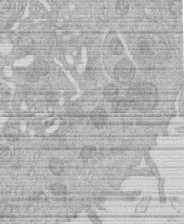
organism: Human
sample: Macrophage cells